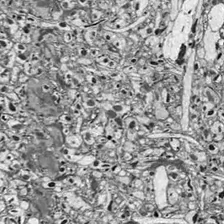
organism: Drosophila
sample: Optic lobe